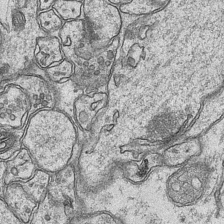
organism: Mouse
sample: CA1 Hippocampus